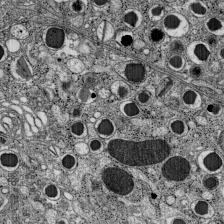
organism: C57BL Mouse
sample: Pancreatic islet